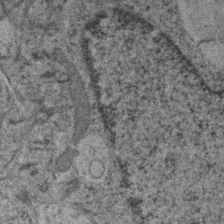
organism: Human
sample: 1205lu cells